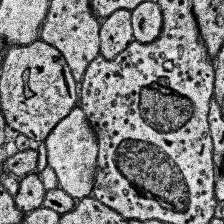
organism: Human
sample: Temporal Lobe